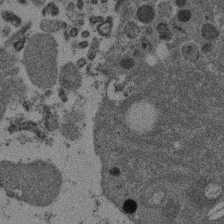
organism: Mouse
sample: Dividing mouse embryo 1 cell stage